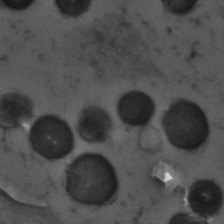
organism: Zebrafish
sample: Zebrafish embryo